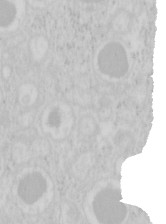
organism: Mouse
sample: Pancreas